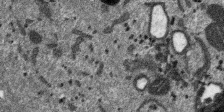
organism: Human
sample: Lung epithelial cells infected with SARS-CoV-2